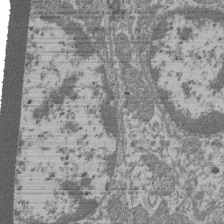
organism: Mouse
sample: Glomerulus